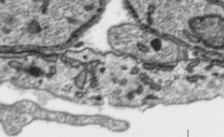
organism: Toxoplasma gondii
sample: Parasites in a vacuole inside a host cell